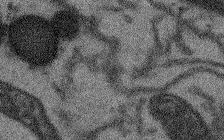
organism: Arabidopsis thaliana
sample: Root tip